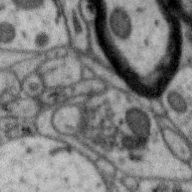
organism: Zebra finch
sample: Brain